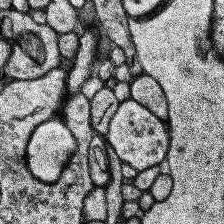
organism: Human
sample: Temporal Lobe